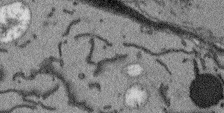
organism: Arabidopsis thaliana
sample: Root tip